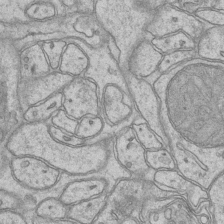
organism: Mouse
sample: CA1 Hippocampus